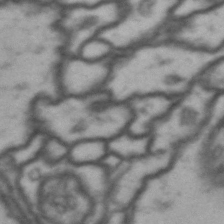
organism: Drosophila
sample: Brain